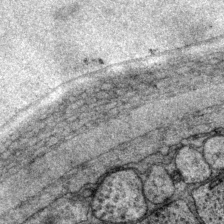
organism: P. pacificus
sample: Pharynx